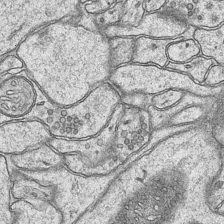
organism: Mouse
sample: CA1 Hippocampus